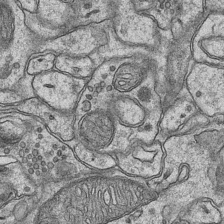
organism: Mouse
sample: CA1 Hippocampus